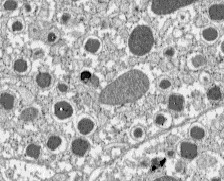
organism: C57BL Mouse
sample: Pancreatic islet